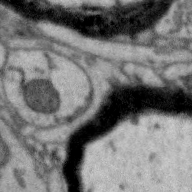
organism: Zebra finch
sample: Brain